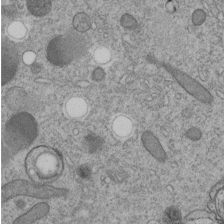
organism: C. elegans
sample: C. elegans embryo early stage